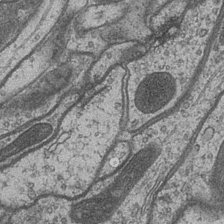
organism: Drosophila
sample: Optic medulla